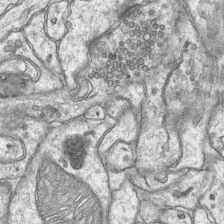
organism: Mouse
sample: CA1 Hippocampus